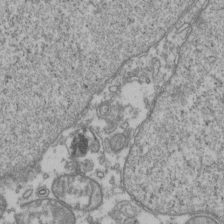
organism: Human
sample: Activated Jurkat CD4+ T cells